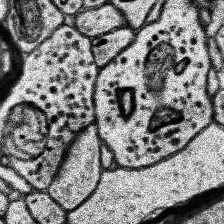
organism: Human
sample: Temporal Lobe